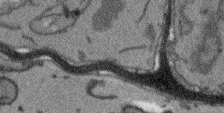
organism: Arabidopsis thaliana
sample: Root tip